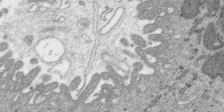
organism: Human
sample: Lung epithelial cells infected with SARS-CoV-2